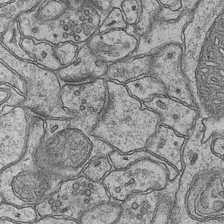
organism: Mouse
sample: CA1 Hippocampus